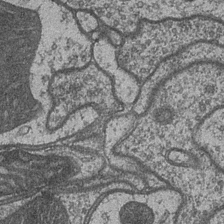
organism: Drosophila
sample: Optic medulla